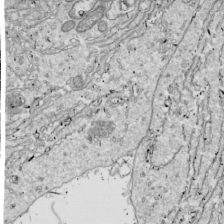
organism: Drosophila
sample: Cell division; meiosis; drosophila spermatocytes